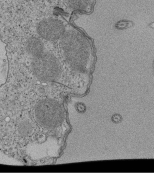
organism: Tetrahymena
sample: Cilia in tetrahymena